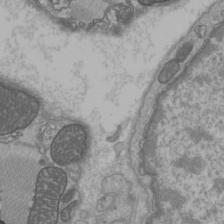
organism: C57BL Mouse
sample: Heart